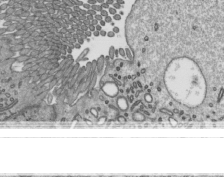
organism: Mouse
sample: Mouse epididymis efferent ductule cilia